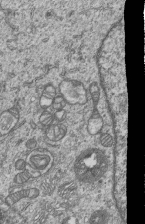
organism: Human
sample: MDA-MB-231 cells